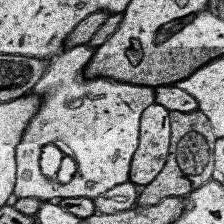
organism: Human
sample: Temporal Lobe